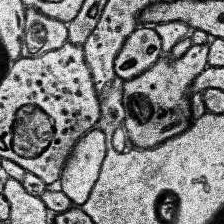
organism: Human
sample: Temporal Lobe